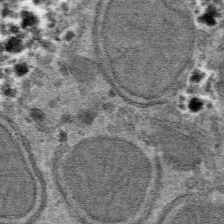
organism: Mouse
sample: Mouse hepatocytes